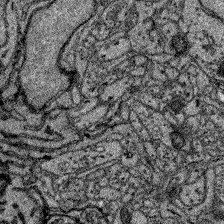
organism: Zebrafish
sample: Larval olfactory bulb